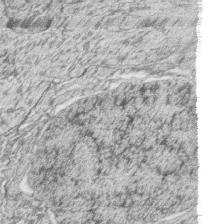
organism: Zebrafish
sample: synaptic ribbons in rod cells and cone cells